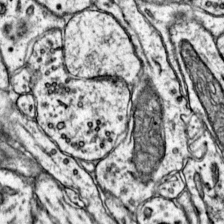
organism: Mouse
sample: Primary visual cortex